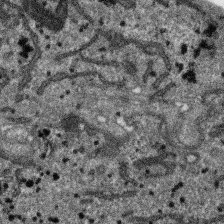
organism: Human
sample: Lung epithelial cells infected with SARS-CoV-2